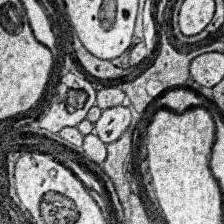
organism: Human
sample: Temporal Lobe